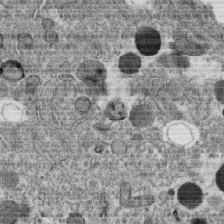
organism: C. elegans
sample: C. elegans oocyte; sperm cells